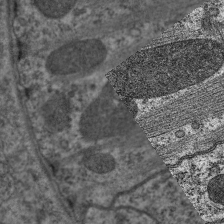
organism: C. elegans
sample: Pharynx